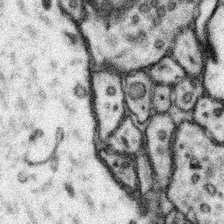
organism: Mouse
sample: Somatosensory cortex neuropil